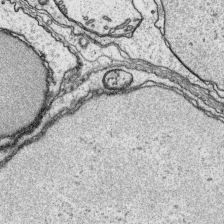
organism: Platynereis dumerilii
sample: Parapodia